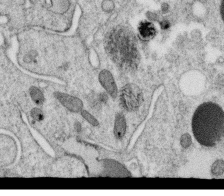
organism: C. elegans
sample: C. elegans oocyte; sperm cells